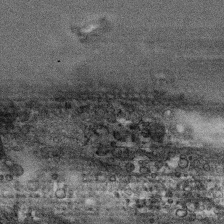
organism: Human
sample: CRL-1474